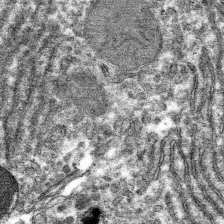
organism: Mouse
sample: Mouse hepatocytes